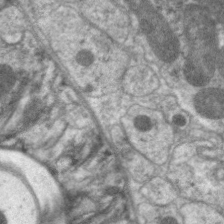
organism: C. elegans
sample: Pharynx